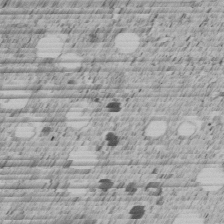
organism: C. elegans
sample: C. elegans embryo early stage